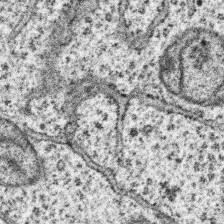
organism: Human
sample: HeLa cells